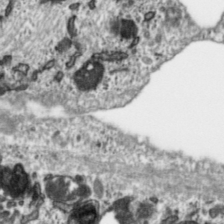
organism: Toxoplasma gondii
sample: Parasites in a vacuole inside a host cell